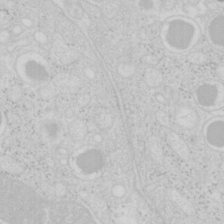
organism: Mouse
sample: Pancreas